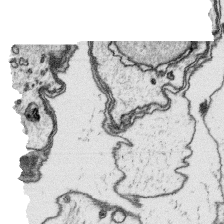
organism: Platynereis dumerilii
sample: Parapodia